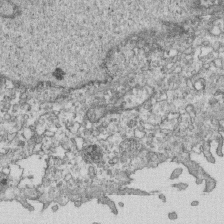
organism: Human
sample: HeLa cell HIV synapse